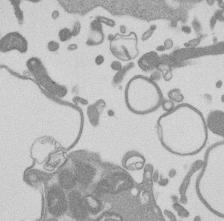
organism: Mouse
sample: Dividing mouse embryo 1 cell stage